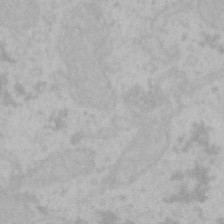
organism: Mouse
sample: Choroid plexus